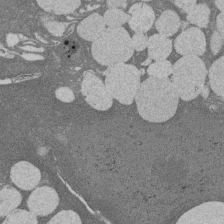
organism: Rat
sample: Salivary granule